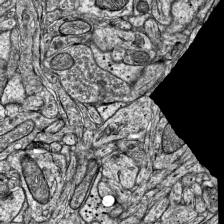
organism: Mouse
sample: Visual Cortex